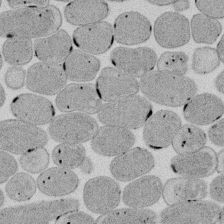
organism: E. coli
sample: Bacterial nucleoid